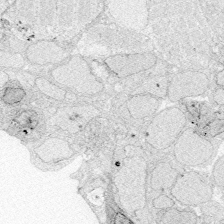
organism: Zebrafish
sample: Whole-Brain